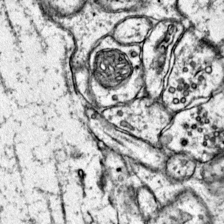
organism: Mouse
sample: Primary visual cortex